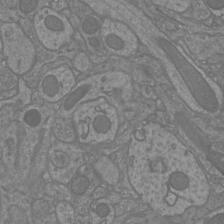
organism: Mouse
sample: Cortical neurons